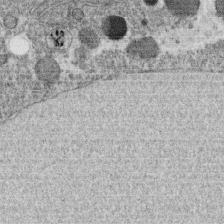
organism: C. elegans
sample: C. elegans oocyte; sperm cells